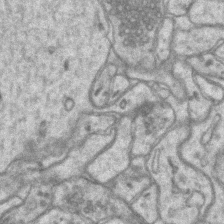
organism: Mouse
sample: CA1 Hippocampus